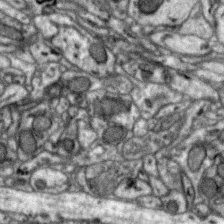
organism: Zebra finch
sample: Brain